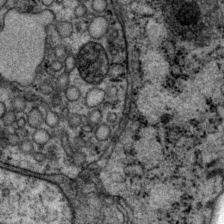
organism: P. pacificus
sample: Pharynx